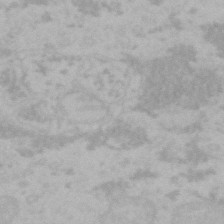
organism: Mouse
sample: Choroid plexus